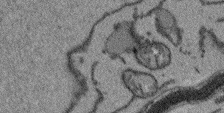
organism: Arabidopsis thaliana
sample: Root tip